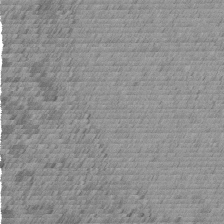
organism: C. elegans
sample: C. elegans embryo early stage